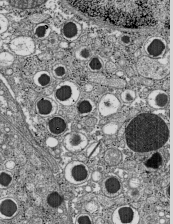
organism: C57BL Mouse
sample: Pancreatic islet